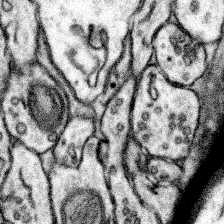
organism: Mouse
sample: Somatosensory cortex neuropil